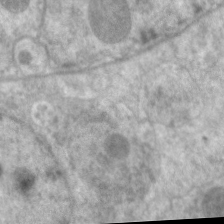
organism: C. elegans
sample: Pharynx